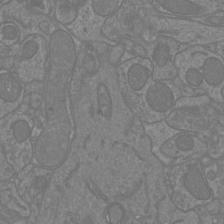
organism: Mouse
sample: Cortical neurons